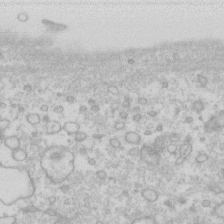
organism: Human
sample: Fibroblast cells